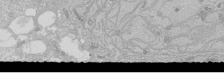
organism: Human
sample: Caco-2 cells